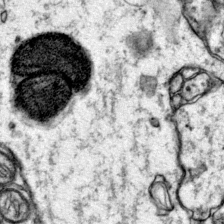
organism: Mouse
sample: Primary visual cortex